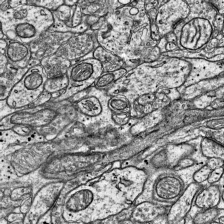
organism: Mouse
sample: Visual Cortex